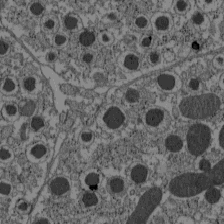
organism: C57BL Mouse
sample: Pancreatic islet